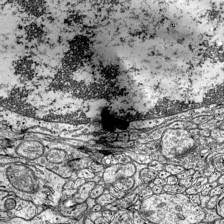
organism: Mouse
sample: Visual Cortex